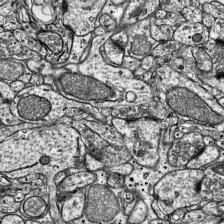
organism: Mouse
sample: Visual Cortex